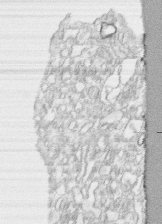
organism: Human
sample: CRL-1474